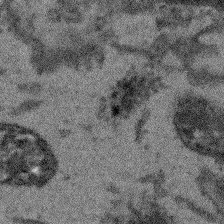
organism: Arabidopsis thaliana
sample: Root tip